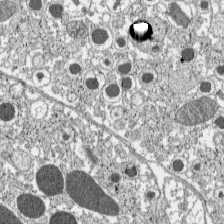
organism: C57BL Mouse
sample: Pancreatic islet